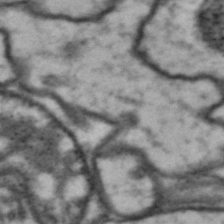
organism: Drosophila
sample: Brain